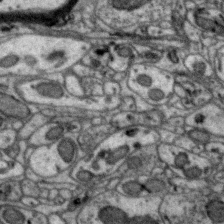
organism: Zebra finch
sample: Brain